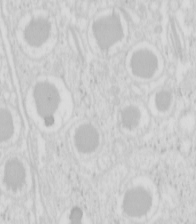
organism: Mouse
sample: Pancreas